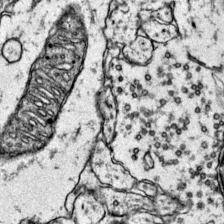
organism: Mouse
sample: Primary visual cortex